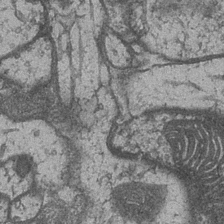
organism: Drosophila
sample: Optic medulla